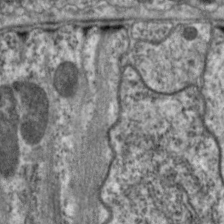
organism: C. elegans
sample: Pharynx